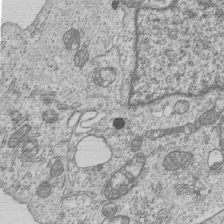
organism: Human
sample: MDA-MB-231 cells